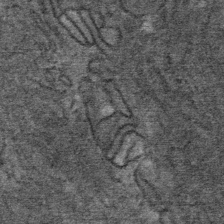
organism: Mouse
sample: Mouse Salivary gland